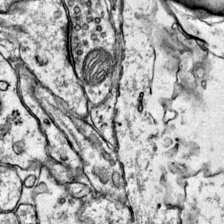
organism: Mouse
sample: Primary visual cortex